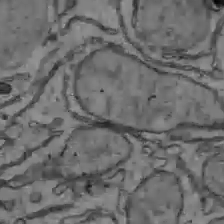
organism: C57BL Mouse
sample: Liver